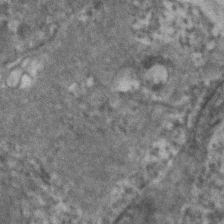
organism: Human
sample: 1205lu cells